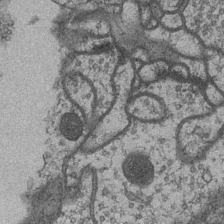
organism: Drosophila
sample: Optic medulla